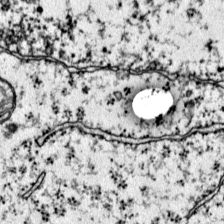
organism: Mouse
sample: Primary visual cortex